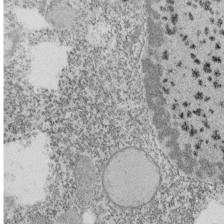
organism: Tetrahymena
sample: Cilia in tetrahymena